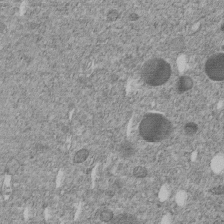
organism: C. elegans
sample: C. elegans embryo early stage